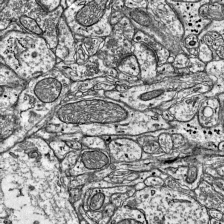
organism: Mouse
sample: Visual Cortex